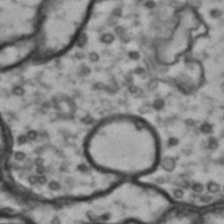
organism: Drosophila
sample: Brain